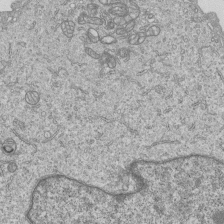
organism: Human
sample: MDA-MB-231 cells